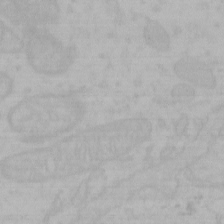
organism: Mouse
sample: Choroid plexus